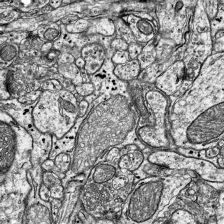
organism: Mouse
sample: Visual Cortex